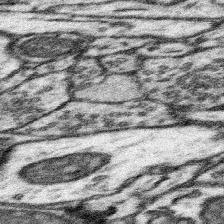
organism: Mouse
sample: Somatosensory cortex neuropil